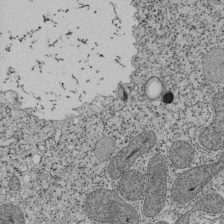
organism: Tetrahymena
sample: Cilia in tetrahymena